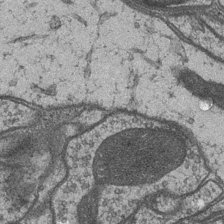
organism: Drosophila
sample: Optic medulla